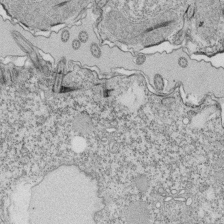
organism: Tetrahymena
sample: Cilia in tetrahymena